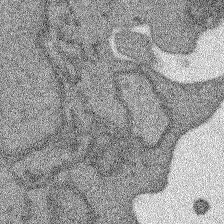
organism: Human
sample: HeLa cells